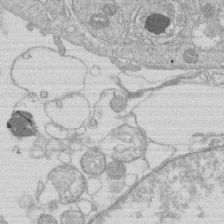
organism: Human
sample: Macrophage cells